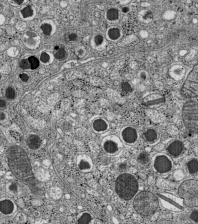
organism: C57BL Mouse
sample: Pancreatic islet